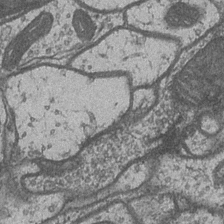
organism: Drosophila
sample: Optic medulla